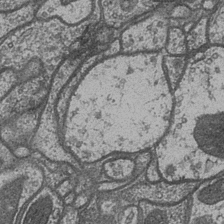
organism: Drosophila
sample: Optic medulla